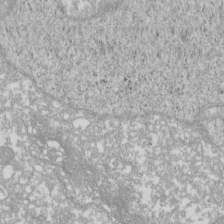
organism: Xenopus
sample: Cilia; centrioles in frog embryo cells